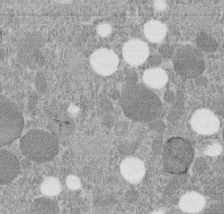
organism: C. elegans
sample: C. elegans embryo early stage